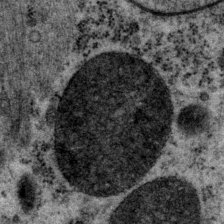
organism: P. pacificus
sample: Pharynx